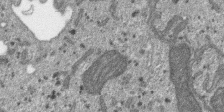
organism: Human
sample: Lung epithelial cells infected with SARS-CoV-2